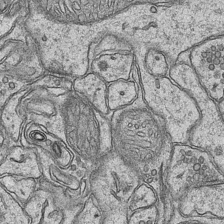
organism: Mouse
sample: CA1 Hippocampus